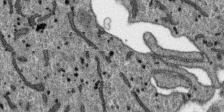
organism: Human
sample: Lung epithelial cells, uninfected (mock) control